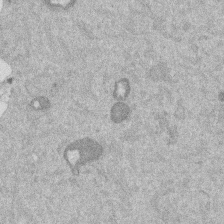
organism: Mouse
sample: Dividing mouse embryo 1 cell stage